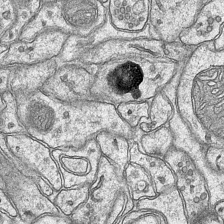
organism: Mouse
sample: CA1 Hippocampus